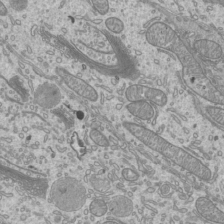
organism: Mouse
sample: Cilia; mouse epididymis